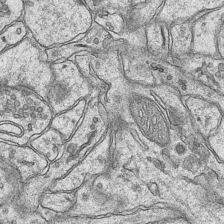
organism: Mouse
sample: CA1 Hippocampus